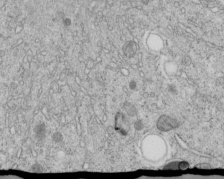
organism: C. elegans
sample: C. elegans embryo early stage